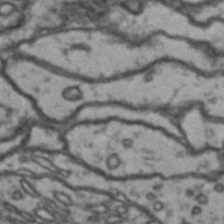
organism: Drosophila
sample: Brain